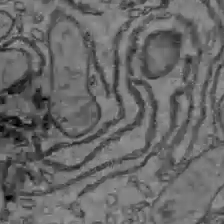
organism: C57BL Mouse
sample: Liver